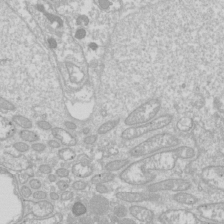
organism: Drosophila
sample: Cell division; meiosis; drosophila spermatocytes